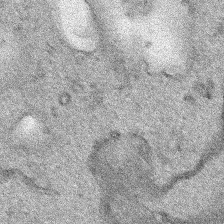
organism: Human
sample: Mitochondria in HCT116 cells